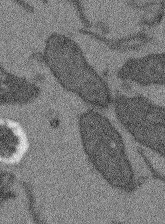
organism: Arabidopsis thaliana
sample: Root tip